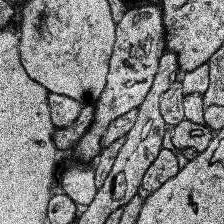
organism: Human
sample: Temporal Lobe